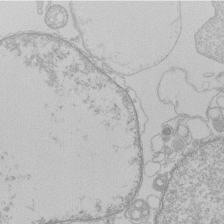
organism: Human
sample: Macrophage cells